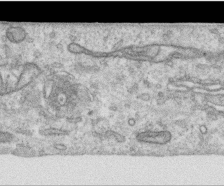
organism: Human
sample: Centriole in RPE cells